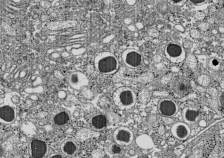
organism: C57BL Mouse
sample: Pancreatic islet